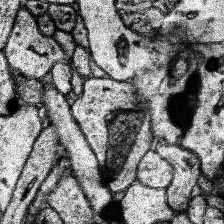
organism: Human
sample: Temporal Lobe